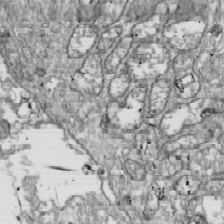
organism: Drosophila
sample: Cell division; meiosis; drosophila spermatocytes